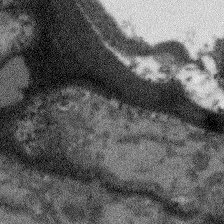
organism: Arabidopsis thaliana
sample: Root tip